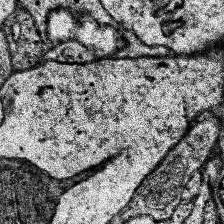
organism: Human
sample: Temporal Lobe